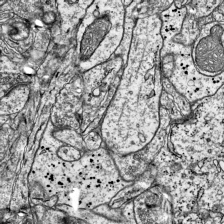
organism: Mouse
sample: Visual Cortex